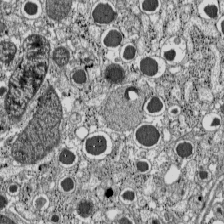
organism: C57BL Mouse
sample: Pancreatic islet